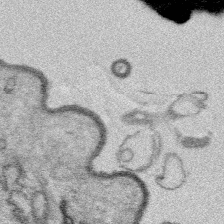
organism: Platynereis dumerilii